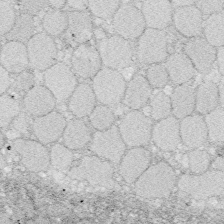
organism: Zebrafish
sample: Whole-Brain